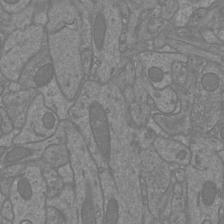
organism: Mouse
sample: Cortical neurons